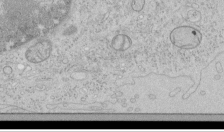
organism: Human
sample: Mitochondria in HCT116 cells